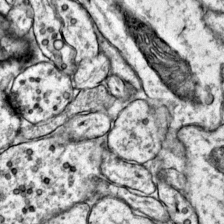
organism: Mouse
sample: Primary visual cortex